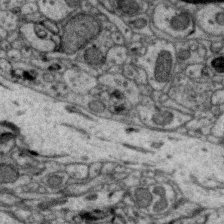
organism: Zebra finch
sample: Brain